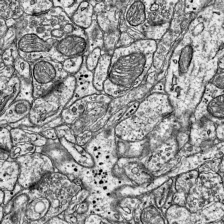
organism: Mouse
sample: Visual Cortex